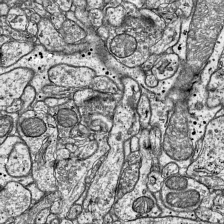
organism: Mouse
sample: Visual Cortex